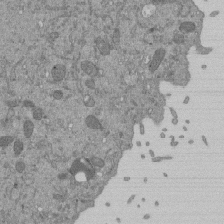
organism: Mouse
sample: ED-1 cell nuclei; centrioles